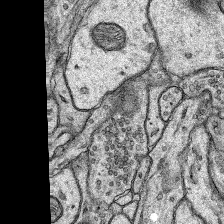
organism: Rat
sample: Hippocampus